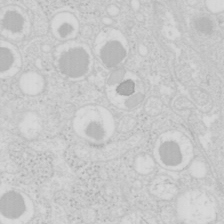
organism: Mouse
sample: Pancreas